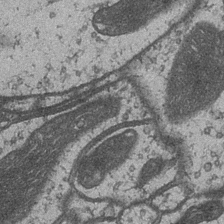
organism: Drosophila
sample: Optic medulla